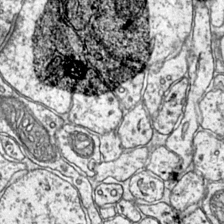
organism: Mouse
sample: Primary visual cortex